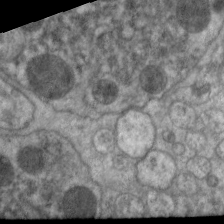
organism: C. elegans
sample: Pharynx